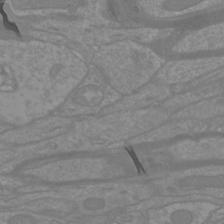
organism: Mouse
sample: Cortical neurons